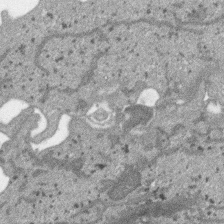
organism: Human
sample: Lung epithelial cells infected with SARS-CoV-2